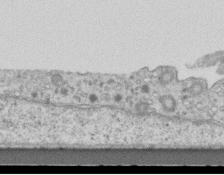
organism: Mouse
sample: Centriole in ependymal cells